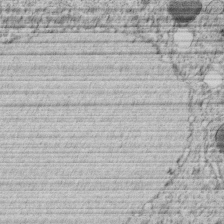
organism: C. elegans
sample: C. elegans embryo early stage